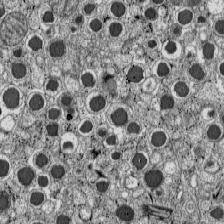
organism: C57BL Mouse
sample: Pancreatic islet